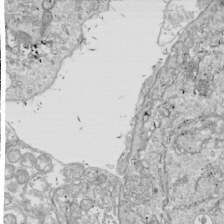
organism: Drosophila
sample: Cell division; meiosis; drosophila spermatocytes